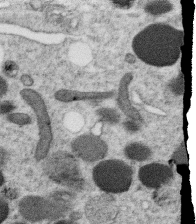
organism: C. elegans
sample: C. elegans oocyte; sperm cells